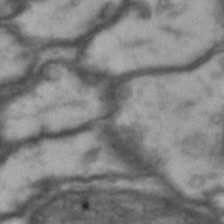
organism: Drosophila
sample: Brain